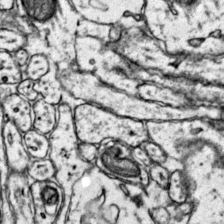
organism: Mouse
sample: Primary visual cortex